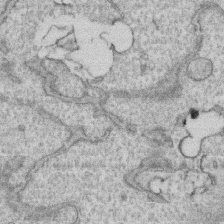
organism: Human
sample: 1205lu cells